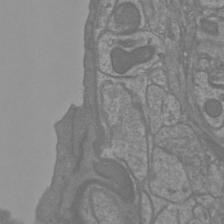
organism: Mouse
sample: Cortical neurons